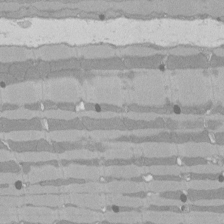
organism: Rat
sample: Left ventricle